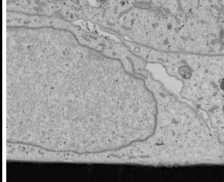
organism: Human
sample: Mitochondria in U2OS cells